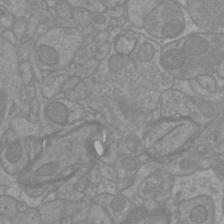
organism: Mouse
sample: Cortical neurons